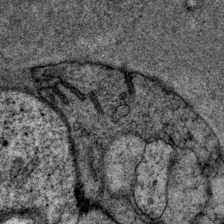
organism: P. pacificus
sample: Pharynx